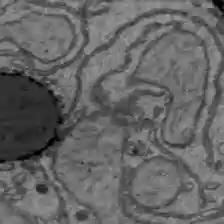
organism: C57BL Mouse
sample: Liver